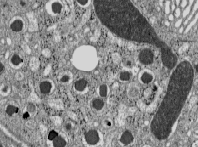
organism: C57BL Mouse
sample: Pancreatic islet